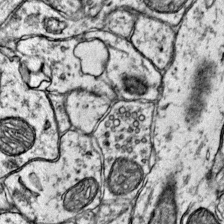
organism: Mouse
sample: Primary visual cortex